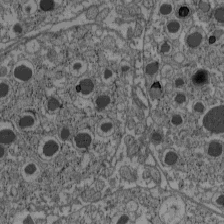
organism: C57BL Mouse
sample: Pancreatic islet